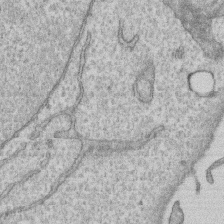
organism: Human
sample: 1205lu cells